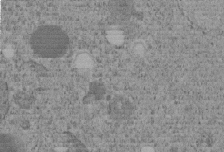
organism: C. elegans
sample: C. elegans embryo early stage